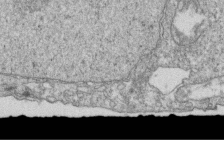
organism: Human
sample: HeLa cell HIV synapse